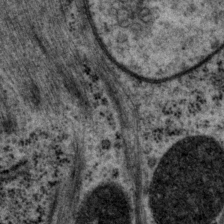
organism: P. pacificus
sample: Pharynx